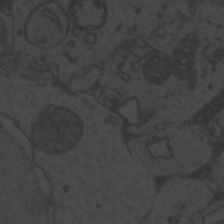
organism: Zebrafish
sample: Macrophage infected with Toxoplasma gondii